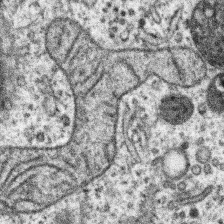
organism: Human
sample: HeLa cells